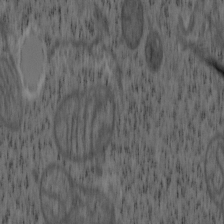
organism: Human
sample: HeLa cells